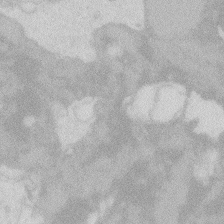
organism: Zebrafish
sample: Macrophage